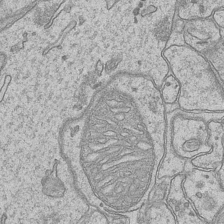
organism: Mouse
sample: CA1 Hippocampus